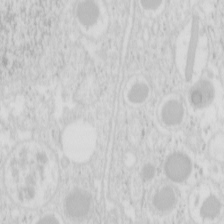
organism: Mouse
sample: Pancreas